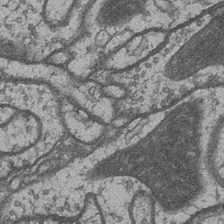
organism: Drosophila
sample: Optic medulla